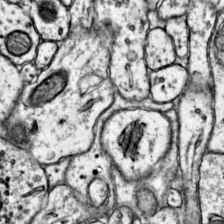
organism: Mouse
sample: Primary visual cortex